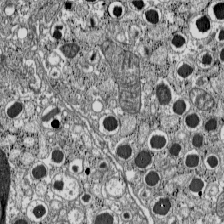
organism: C57BL Mouse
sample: Pancreatic islet